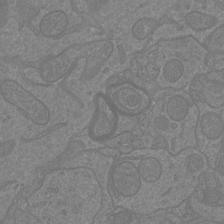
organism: Mouse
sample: Cortical neurons